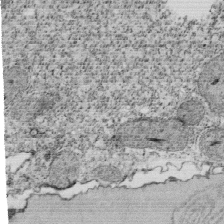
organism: Tetrahymena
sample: Cilia in tetrahymena